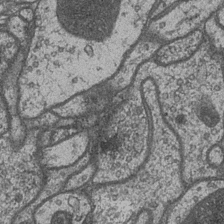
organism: Drosophila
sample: Optic medulla